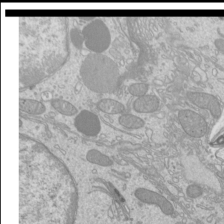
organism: Mouse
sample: Cilia; mouse epididymis